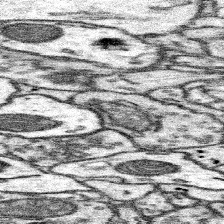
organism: Mouse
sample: Somatosensory cortex neuropil